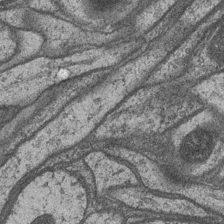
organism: Drosophila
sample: Optic medulla